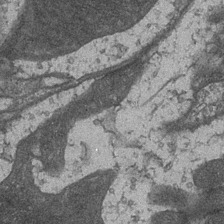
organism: Drosophila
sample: Optic medulla